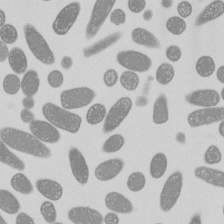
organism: E. coli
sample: Bacterial nucleoid